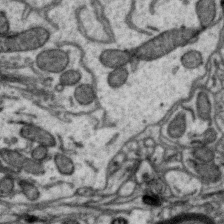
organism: Zebra finch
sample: Brain